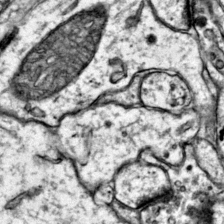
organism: Mouse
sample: Primary visual cortex